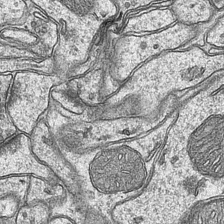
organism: Mouse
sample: CA1 Hippocampus